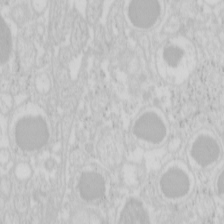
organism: Mouse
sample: Pancreas